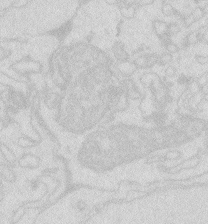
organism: Zebrafish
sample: Macrophage